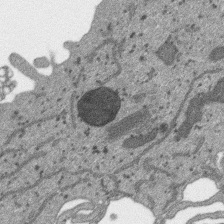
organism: Human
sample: Lung epithelial cells infected with SARS-CoV-2